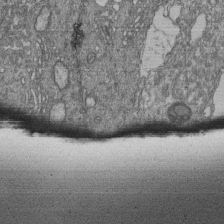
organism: Human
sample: Retinal organoid Rod and Cone cells